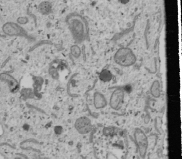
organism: Human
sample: Mitochondria in U2OS cells